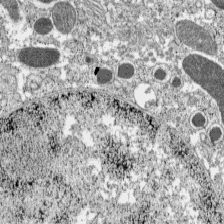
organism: C57BL Mouse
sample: Pancreatic islet